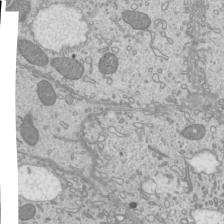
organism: Mouse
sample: Cilia; mouse epididymis